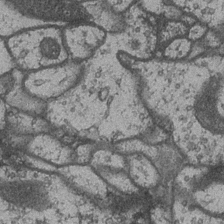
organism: Drosophila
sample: Optic medulla